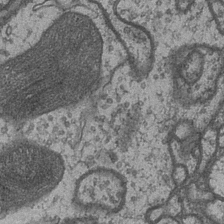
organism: Drosophila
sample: Optic medulla